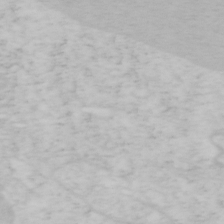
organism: Mouse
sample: OT-I killer T cells with ID8 ovarian cancer cells